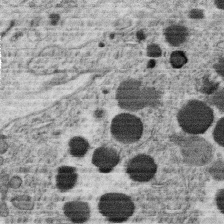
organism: C. elegans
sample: C. elegans oocyte; sperm cells